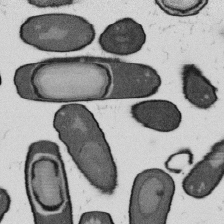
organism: B. subtilis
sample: Bacterial spore